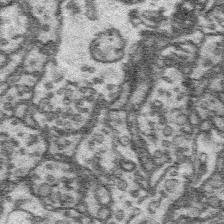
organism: Platynereis dumerilii